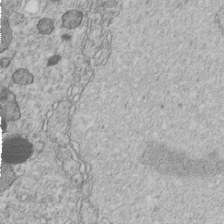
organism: C. elegans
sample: C. elegans embryo early stage